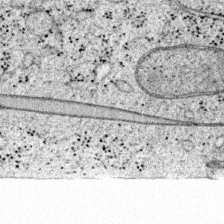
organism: Human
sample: HeLa cells